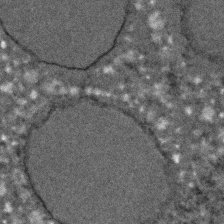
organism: C. elegans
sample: C. elegans embryo